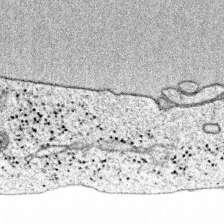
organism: Human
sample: HeLa cells